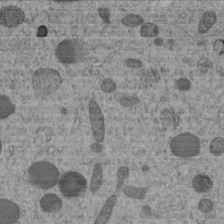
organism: C. elegans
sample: C. elegans embryo early stage